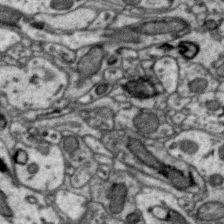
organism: Zebra finch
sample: Brain